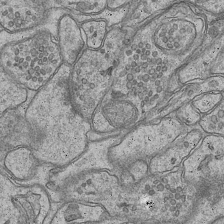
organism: Mouse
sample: CA1 Hippocampus